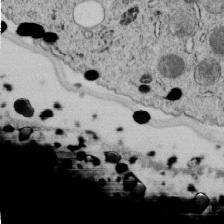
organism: C. elegans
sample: C. elegans embryo early stage